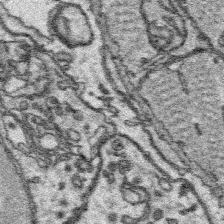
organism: Platynereis dumerilii